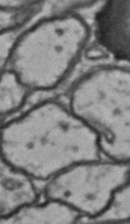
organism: Drosophila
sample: Brain